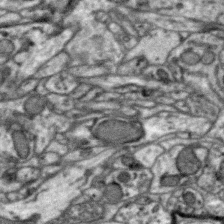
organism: Zebra finch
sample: Brain